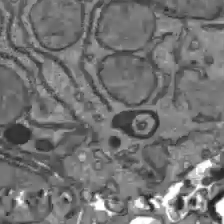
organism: C57BL Mouse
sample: Liver